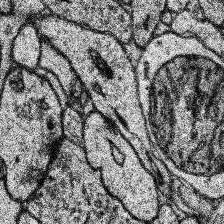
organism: Human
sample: Temporal Lobe